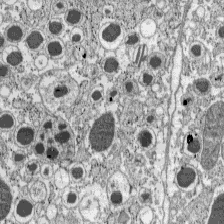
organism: C57BL Mouse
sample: Pancreatic islet